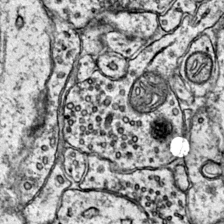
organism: Mouse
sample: Primary visual cortex